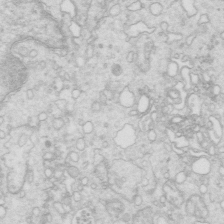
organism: Mouse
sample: Multiciliated cells